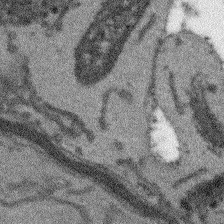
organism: Arabidopsis thaliana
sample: Root tip